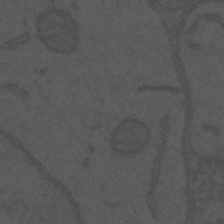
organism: Mouse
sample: Suprachiasmatic nucleus